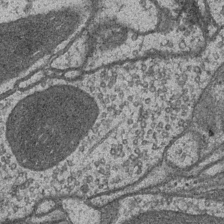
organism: Drosophila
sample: Optic medulla